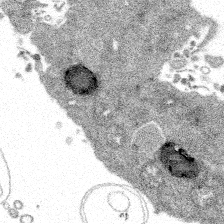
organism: Spongilla lacustris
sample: Multiple